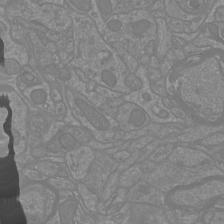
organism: Mouse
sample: Cortical neurons